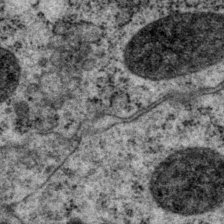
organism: P. pacificus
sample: Pharynx